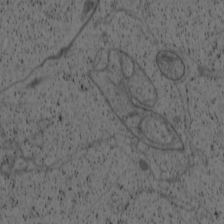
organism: African green monkey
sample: COS-7 cells